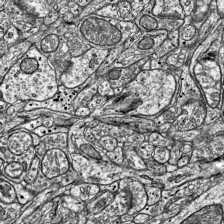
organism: Mouse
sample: Visual Cortex